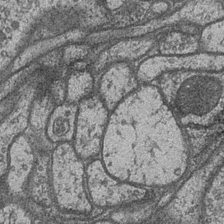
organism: Drosophila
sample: Optic medulla